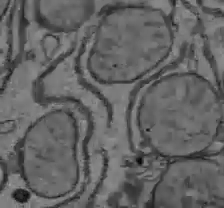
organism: C57BL Mouse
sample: Liver